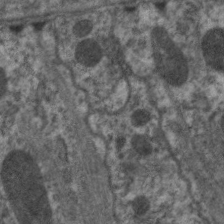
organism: C. elegans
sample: Pharynx